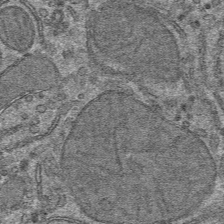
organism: Mouse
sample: Mouse hepatocytes